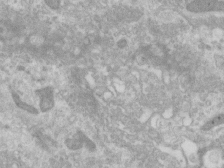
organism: Human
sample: Centriole in RPE cells